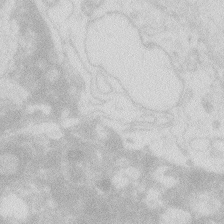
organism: Zebrafish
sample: Macrophage